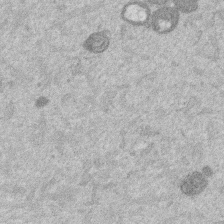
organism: Mouse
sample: Dividing mouse embryo 1 cell stage